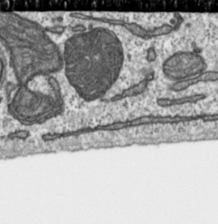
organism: Toxoplasma gondii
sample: Parasites in a vacuole inside a host cell